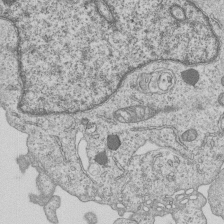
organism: Human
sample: MDA-MB-231 cells